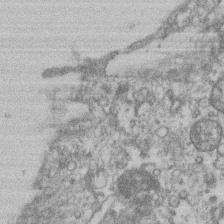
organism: Mouse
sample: T cell stromal cell synapse